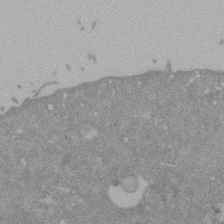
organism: Mouse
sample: ED-1 cell nuclei; centrioles